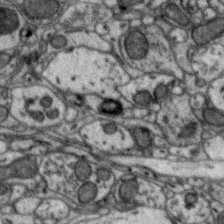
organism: Zebra finch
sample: Brain